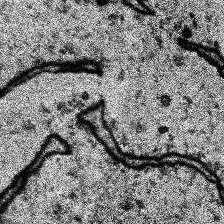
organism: Human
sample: Temporal Lobe